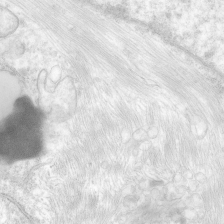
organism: Human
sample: Neocortex